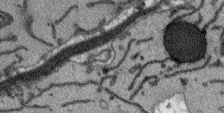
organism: Arabidopsis thaliana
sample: Root tip